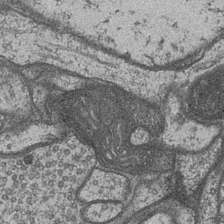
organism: Drosophila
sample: Optic medulla